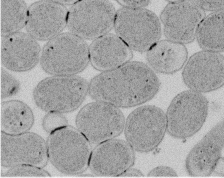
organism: E. coli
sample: Bacterial nucleoid